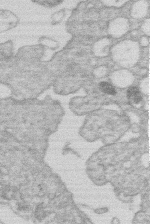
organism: Human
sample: Macrophage cells